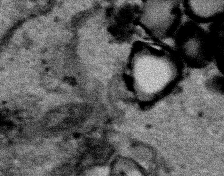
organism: Human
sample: Mitochondria in HCT116 cells